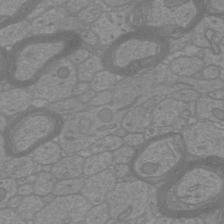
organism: Mouse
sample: Cortical neurons